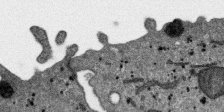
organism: Human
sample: Lung epithelial cells, uninfected (mock) control